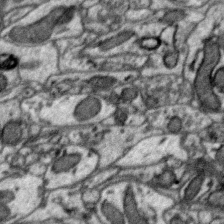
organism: Zebra finch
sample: Brain